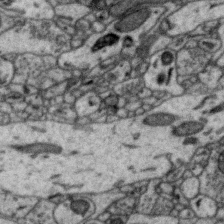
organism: Zebra finch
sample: Brain